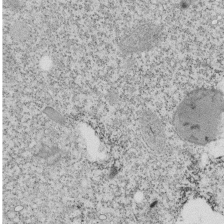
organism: Tetrahymena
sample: Cilia in tetrahymena